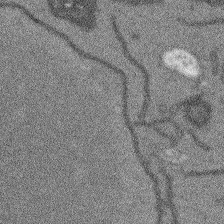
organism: Arabidopsis thaliana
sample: Root tip